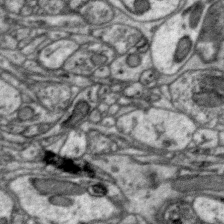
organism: Zebra finch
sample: Brain